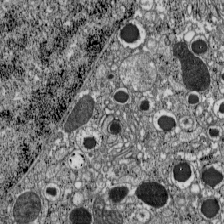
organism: C57BL Mouse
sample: Pancreatic islet